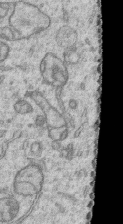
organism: Human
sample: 1205lu cells